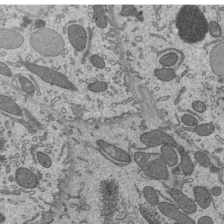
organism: Mouse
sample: Mouse epididymis efferent ductule cilia